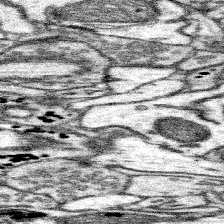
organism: Mouse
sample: Somatosensory cortex neuropil